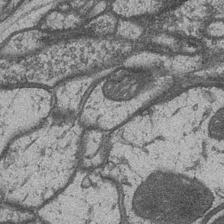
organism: Drosophila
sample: Optic medulla